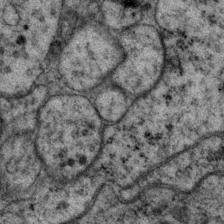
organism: P. pacificus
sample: Pharynx